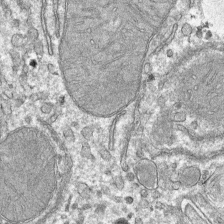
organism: Mouse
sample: Mouse hepatocytes